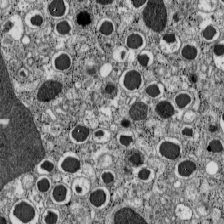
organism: C57BL Mouse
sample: Pancreatic islet